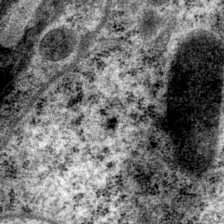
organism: P. pacificus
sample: Pharynx